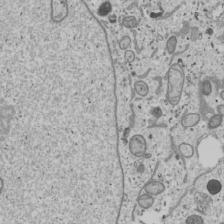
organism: Human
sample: Mitochondria in U2OS cells